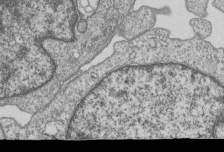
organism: Human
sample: MDA-MB-231 cells